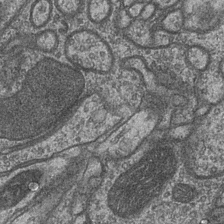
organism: Drosophila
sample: Optic medulla